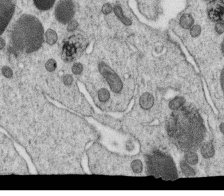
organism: C. elegans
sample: C. elegans oocyte; sperm cells